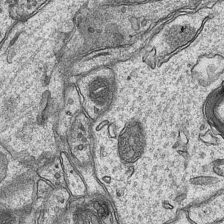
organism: Mouse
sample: CA1 Hippocampus